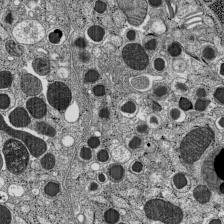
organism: C57BL Mouse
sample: Pancreatic islet